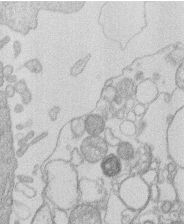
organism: Human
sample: Macrophage cells